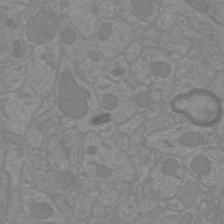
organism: Mouse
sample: Cortical neurons